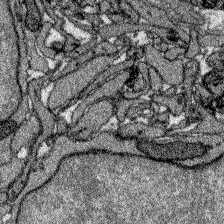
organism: Zebrafish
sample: Larval olfactory bulb